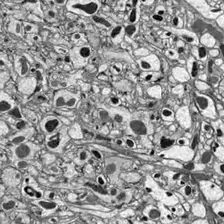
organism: Drosophila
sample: Optic lobe